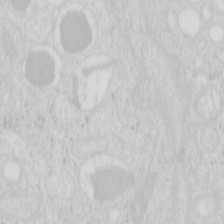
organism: Mouse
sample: Pancreas